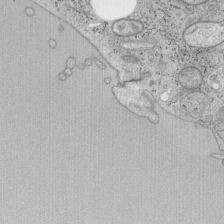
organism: Mouse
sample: OT-I killer T cells with ID8 ovarian cancer cells